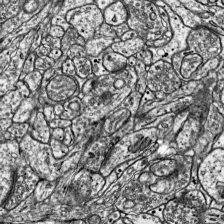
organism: Mouse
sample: Visual Cortex